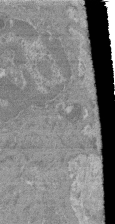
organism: Mouse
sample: Glomerulus